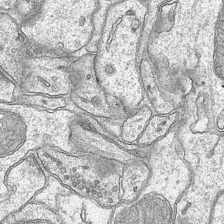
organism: Mouse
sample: CA1 Hippocampus